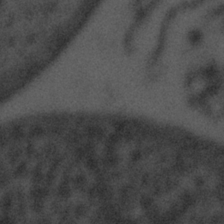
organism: Tuwongella immobilis